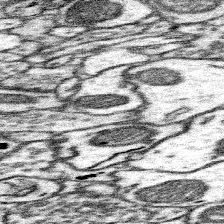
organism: Mouse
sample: Somatosensory cortex neuropil